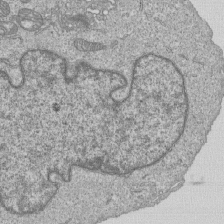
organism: Human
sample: MDA-MB-231 cells